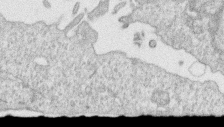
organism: Human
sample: HeLa cell HIV synapse